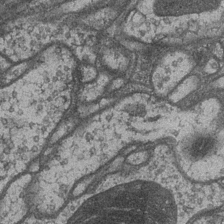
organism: Drosophila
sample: Optic medulla